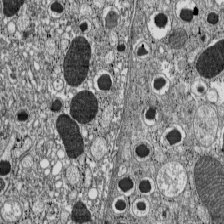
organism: C57BL Mouse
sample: Pancreatic islet